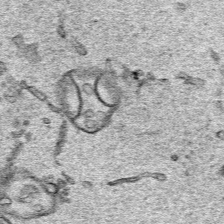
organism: Human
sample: Mitochondria in HCT116 cells